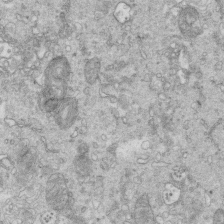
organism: Mouse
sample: Multiciliated cells